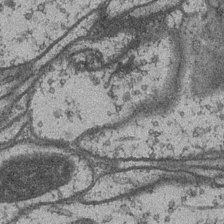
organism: Drosophila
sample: Optic medulla